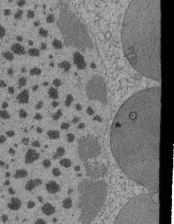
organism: Tetrahymena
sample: Cilia in tetrahymena